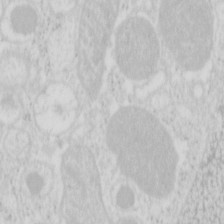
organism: Mouse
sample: Pancreas